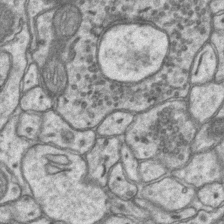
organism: Mouse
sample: CA1 Hippocampus